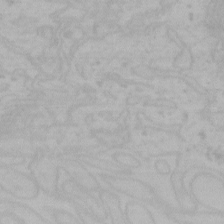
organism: Mouse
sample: Choroid plexus